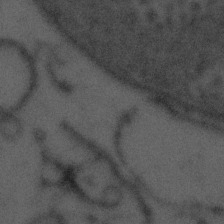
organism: Tuwongella immobilis